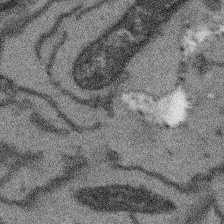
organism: Arabidopsis thaliana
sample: Root tip